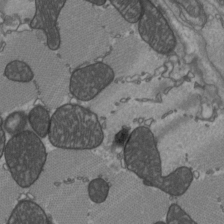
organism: C57BL Mouse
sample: Heart